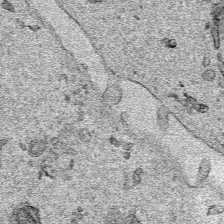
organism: Human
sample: Mitochondria in HCT116 cells